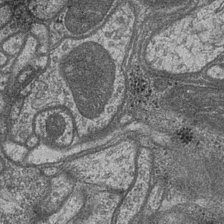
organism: Drosophila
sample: Optic medulla